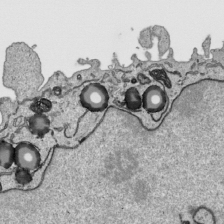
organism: Human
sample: Mitochondria in HCT116 cells